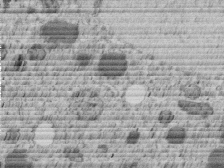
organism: C. elegans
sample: C. elegans embryo early stage